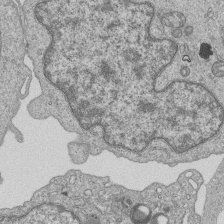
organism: Human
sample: MDA-MB-231 cells